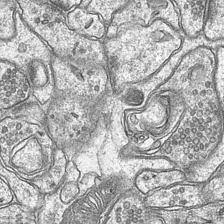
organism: Mouse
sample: CA1 Hippocampus